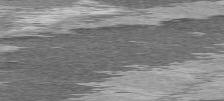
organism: C57BL Mouse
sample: Heart